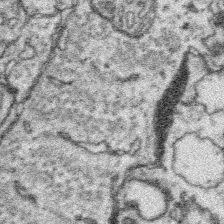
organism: Platynereis dumerilii